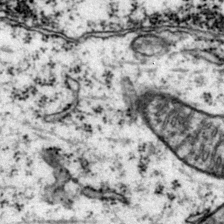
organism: Mouse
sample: Primary visual cortex